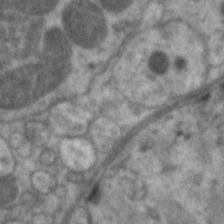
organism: C. elegans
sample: Pharynx